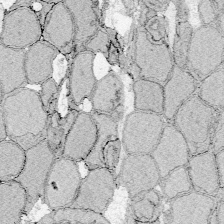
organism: Zebrafish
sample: Whole-Brain